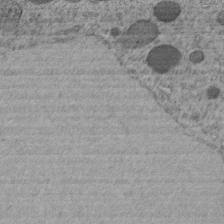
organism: C. elegans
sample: C. elegans embryo early stage